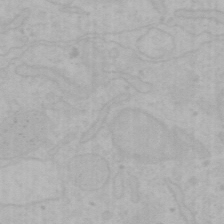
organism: Mouse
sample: Choroid plexus